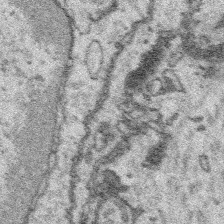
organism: Platynereis dumerilii